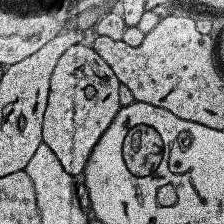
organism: Human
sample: Temporal Lobe